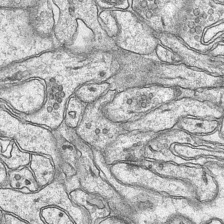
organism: Mouse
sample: CA1 Hippocampus